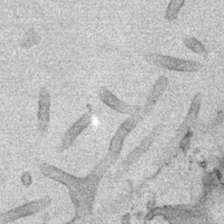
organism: Human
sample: Mitochondria in HCT116 cells